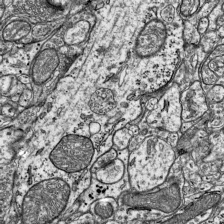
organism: Mouse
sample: Visual Cortex